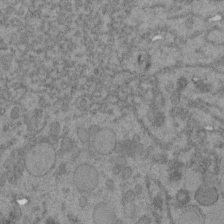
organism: C. elegans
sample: C. elegans embryo early stage